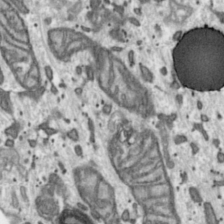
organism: Toxoplasma gondii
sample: Parasites in a vacuole inside a host cell